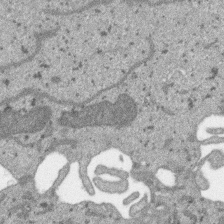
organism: Human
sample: Lung epithelial cells infected with SARS-CoV-2